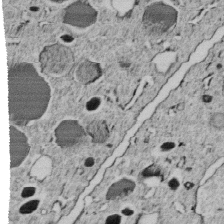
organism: C. elegans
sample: C. elegans embryo early stage